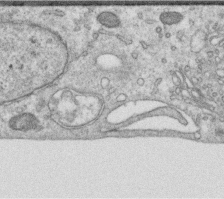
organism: Human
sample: Centriole in RPE cells